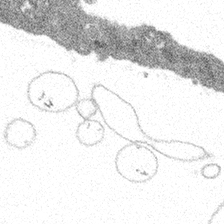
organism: Spongilla lacustris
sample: Multiple